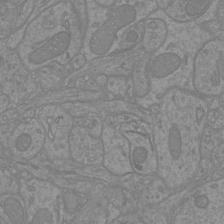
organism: Mouse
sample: Cortical neurons